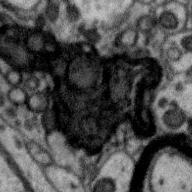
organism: Zebra finch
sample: Brain